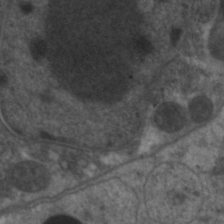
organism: C. elegans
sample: Pharynx